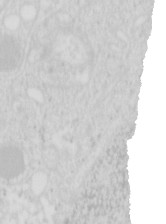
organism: Mouse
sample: Pancreas